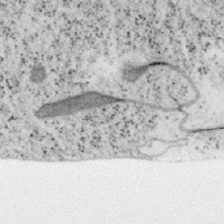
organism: Mouse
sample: OT-I killer T cells with ID8 ovarian cancer cells